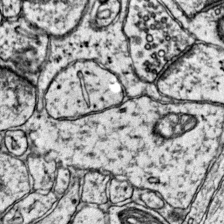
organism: Mouse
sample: Primary visual cortex